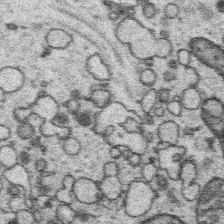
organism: Platynereis dumerilii